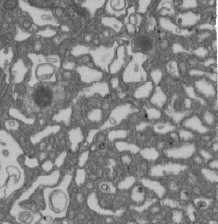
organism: Drosophila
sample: Nephrocyte